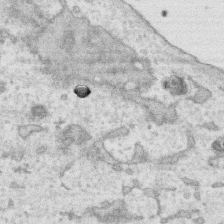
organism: Human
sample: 1205lu cells